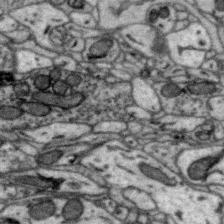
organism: Zebra finch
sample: Brain